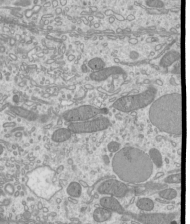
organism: Mouse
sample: Cilia; mouse epididymis